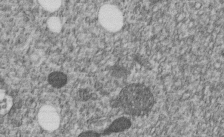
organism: C. elegans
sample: C. elegans embryo early stage